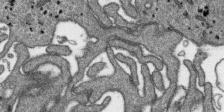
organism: Human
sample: Lung epithelial cells, uninfected (mock) control